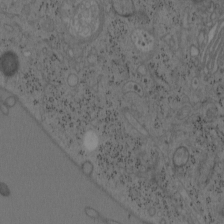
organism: Mouse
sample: OT-I killer T cells with ID8 ovarian cancer cells